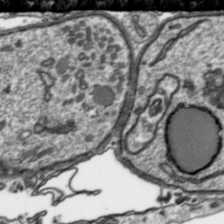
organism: Toxoplasma gondii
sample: Parasites in a vacuole inside a host cell